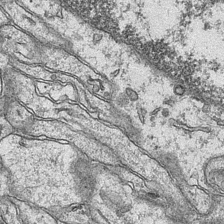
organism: Mouse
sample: CA1 Hippocampus